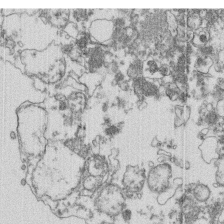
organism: Human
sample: HeLa cell HIV synapse